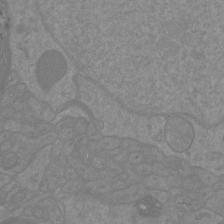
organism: Mouse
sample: Cortical neurons